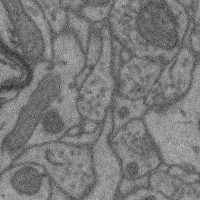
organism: Mouse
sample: Cerebral cortex